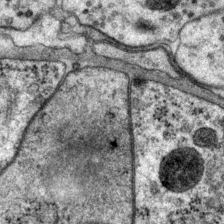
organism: P. pacificus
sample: Pharynx